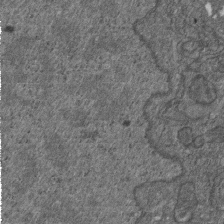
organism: Drosophila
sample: Nephrocyte